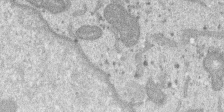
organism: Human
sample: Lung epithelial cells infected with SARS-CoV-2